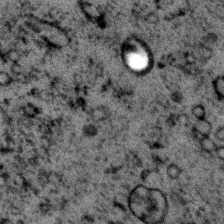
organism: C. elegans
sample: C. elegans embryo